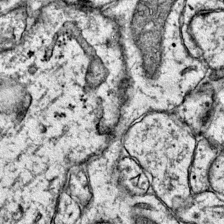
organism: Mouse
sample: Primary visual cortex